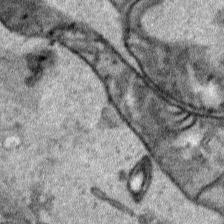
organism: Human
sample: Mitochondria in HCT116 cells